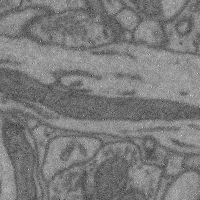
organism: Mouse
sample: Cerebral cortex